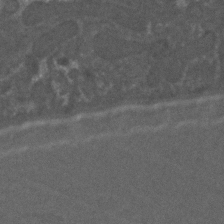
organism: C. elegans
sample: C. elegans embryo